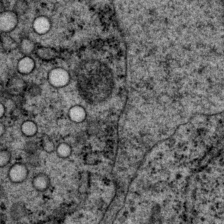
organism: P. pacificus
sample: Pharynx